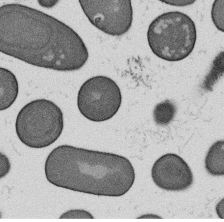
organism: B. subtilis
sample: Bacterial spore